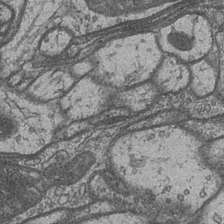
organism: Drosophila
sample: Optic medulla